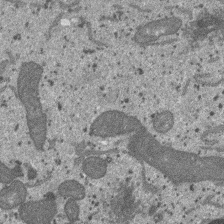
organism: Human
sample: Lung epithelial cells infected with SARS-CoV-2